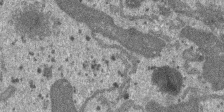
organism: Human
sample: Lung epithelial cells infected with SARS-CoV-2